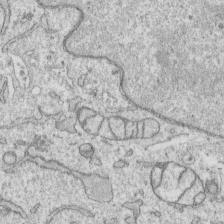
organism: Human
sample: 1205lu cells